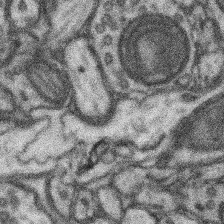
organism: Mouse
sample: Somatosensory cortex neuropil